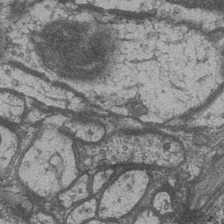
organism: Drosophila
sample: Optic medulla